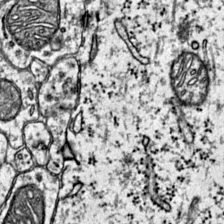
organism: Mouse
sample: Primary visual cortex